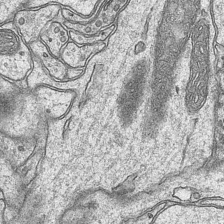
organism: Mouse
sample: CA1 Hippocampus